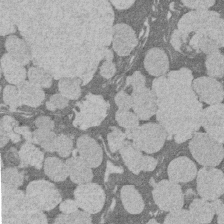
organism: Rat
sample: Salivary granule